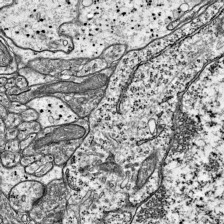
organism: Mouse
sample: Visual Cortex